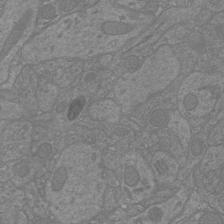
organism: Mouse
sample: Cortical neurons